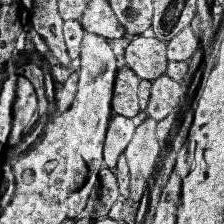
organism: Human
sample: Temporal Lobe